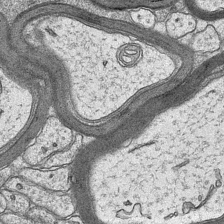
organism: Mouse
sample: CA1 Hippocampus